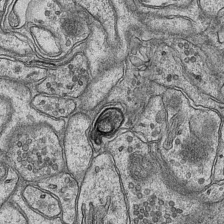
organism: Mouse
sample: CA1 Hippocampus